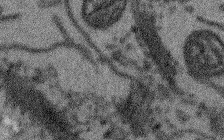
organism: Arabidopsis thaliana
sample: Root tip